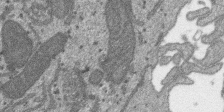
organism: Human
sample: Lung epithelial cells infected with SARS-CoV-2